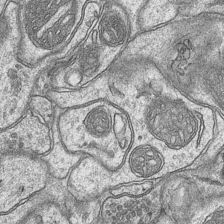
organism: Mouse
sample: CA1 Hippocampus